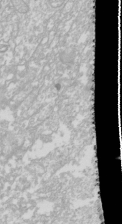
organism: Drosophila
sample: Cell division; meiosis; drosophila spermatocytes